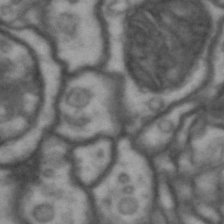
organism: Drosophila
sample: Brain